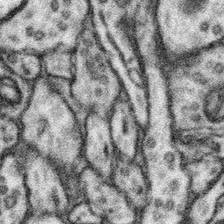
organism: Mouse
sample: Somatosensory cortex neuropil